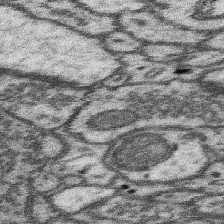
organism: Mouse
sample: Somatosensory cortex neuropil